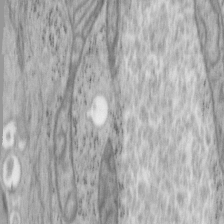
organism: Human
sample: HeLa cells